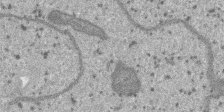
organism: Human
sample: Lung epithelial cells infected with SARS-CoV-2